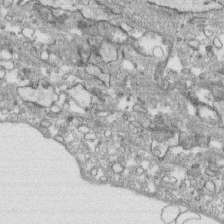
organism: Human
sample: CRL-1474